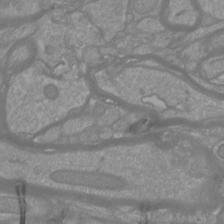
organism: Mouse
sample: Cortical neurons